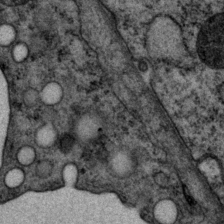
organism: P. pacificus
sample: Pharynx